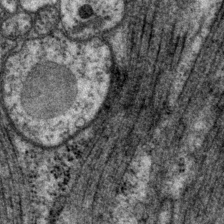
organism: P. pacificus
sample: Pharynx